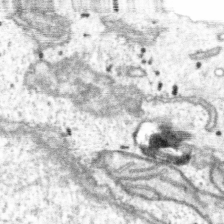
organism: Human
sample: HeLa cells